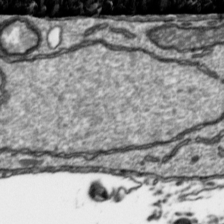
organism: Toxoplasma gondii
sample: Parasites in a vacuole inside a host cell